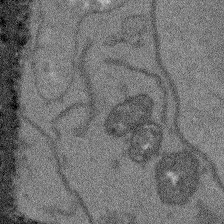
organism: Arabidopsis thaliana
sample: Root tip